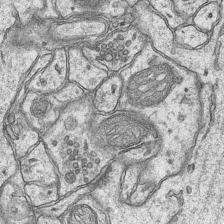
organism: Mouse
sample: CA1 Hippocampus